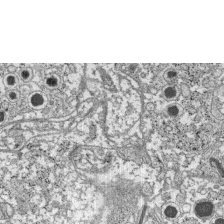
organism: C57BL Mouse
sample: Pancreatic islet